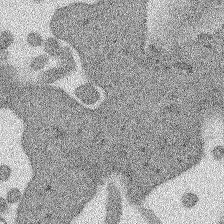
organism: Human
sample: HeLa cells